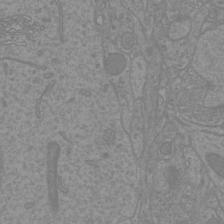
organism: Mouse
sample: Cortical neurons